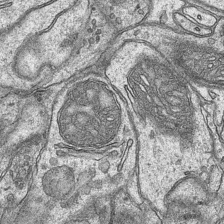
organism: Mouse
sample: CA1 Hippocampus